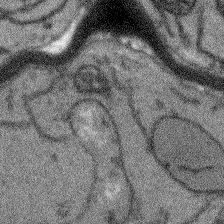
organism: Arabidopsis thaliana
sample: Root tip